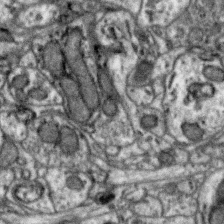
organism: Zebra finch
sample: Brain